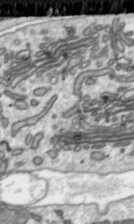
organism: Toxoplasma gondii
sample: Parasites in a vacuole inside a host cell